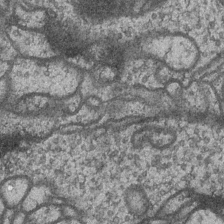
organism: Drosophila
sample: Optic medulla